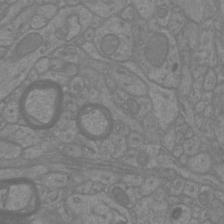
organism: Mouse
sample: Cortical neurons